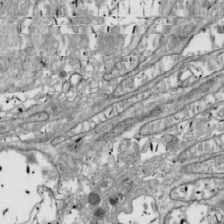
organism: Drosophila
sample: Cell division; meiosis; drosophila spermatocytes